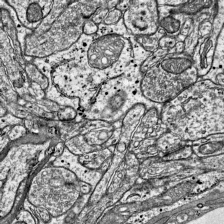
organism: Mouse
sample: Visual Cortex